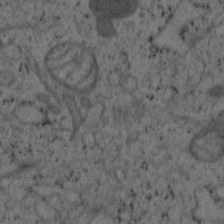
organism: Human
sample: HeLa cells